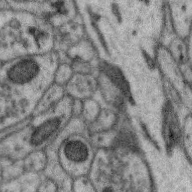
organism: Zebra finch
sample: Brain